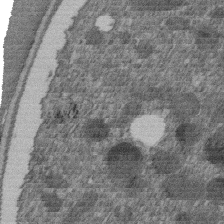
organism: C. elegans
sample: C. elegans embryo early stage